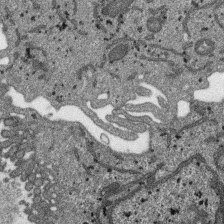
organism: Human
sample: Lung epithelial cells infected with SARS-CoV-2